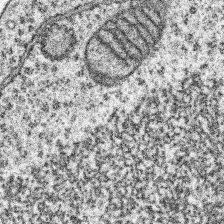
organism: Human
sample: HeLa cells